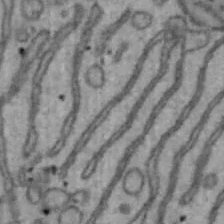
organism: Mouse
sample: Liver